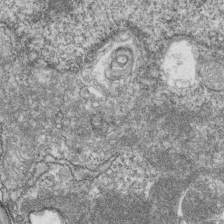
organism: Zebrafish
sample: Cilia; retinal pigment epithelium